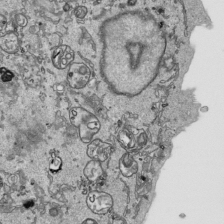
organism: Human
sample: Mitochondria in HCT116 cells